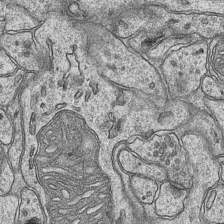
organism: Mouse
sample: CA1 Hippocampus